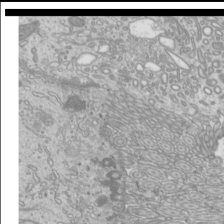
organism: Mouse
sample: Cilia; mouse epididymis